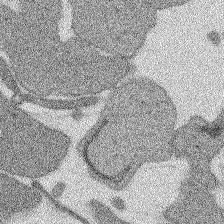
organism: Human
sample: HeLa cells